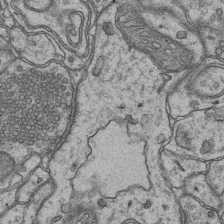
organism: Mouse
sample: CA1 Hippocampus